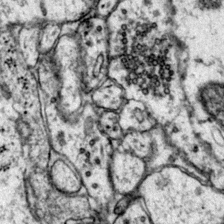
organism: Mouse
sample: Primary visual cortex